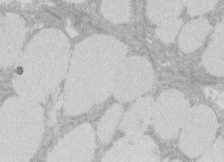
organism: Rat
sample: Salivary granule